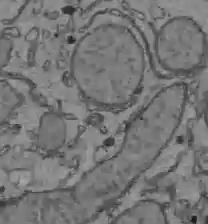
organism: C57BL Mouse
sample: Liver